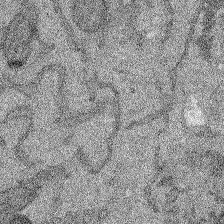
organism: Human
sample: HeLa cells